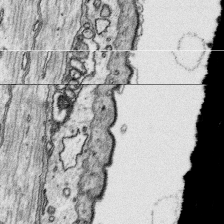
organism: Platynereis dumerilii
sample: Parapodia